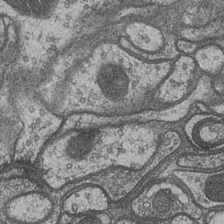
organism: Drosophila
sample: Optic medulla